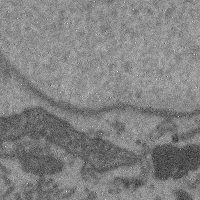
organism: Mouse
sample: Cerebral cortex